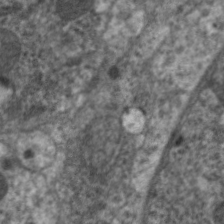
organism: C. elegans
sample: Pharynx